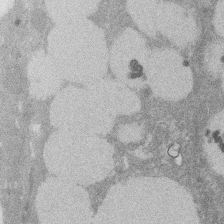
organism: Rat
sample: Salivary granule